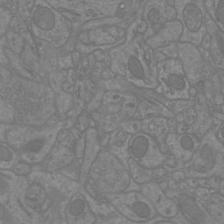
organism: Mouse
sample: Cortical neurons